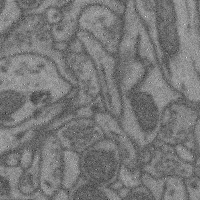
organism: Mouse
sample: Cerebral cortex